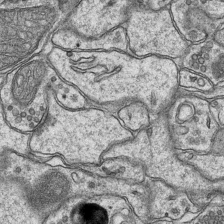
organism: Mouse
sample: CA1 Hippocampus